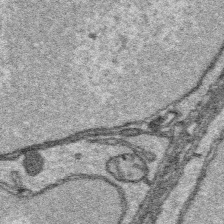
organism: Platynereis dumerilii